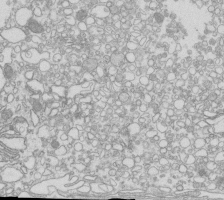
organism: Mouse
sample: Macrophages